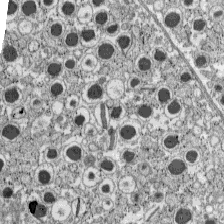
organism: C57BL Mouse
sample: Pancreatic islet